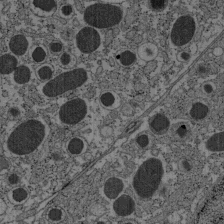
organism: C57BL Mouse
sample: Pancreatic islet